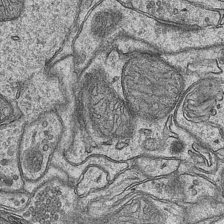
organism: Mouse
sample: CA1 Hippocampus